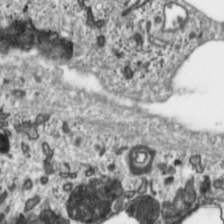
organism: Toxoplasma gondii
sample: Parasites in a vacuole inside a host cell